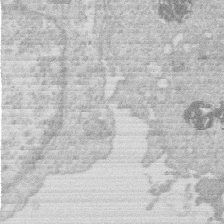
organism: Human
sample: Macrophage cells